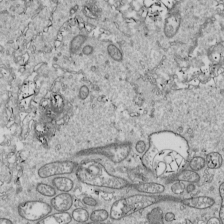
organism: Drosophila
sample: Cell division; meiosis; drosophila spermatocytes